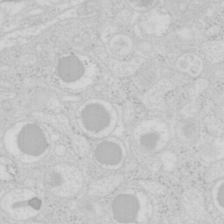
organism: Mouse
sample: Pancreas